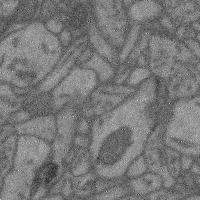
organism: Mouse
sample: Cerebral cortex